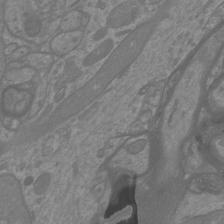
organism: Mouse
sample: Cortical neurons